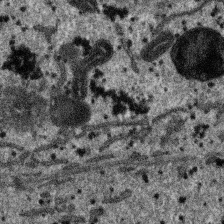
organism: Human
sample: Lung epithelial cells infected with SARS-CoV-2